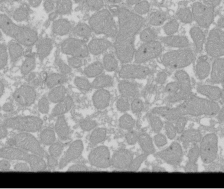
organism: Xenopus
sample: Cilia; centrioles in frog embryo cells